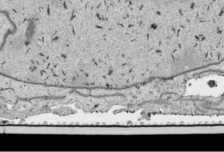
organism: Human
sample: Mitochondria in HCT116 cells